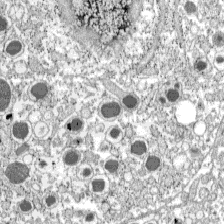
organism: C57BL Mouse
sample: Pancreatic islet